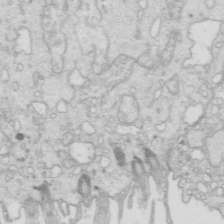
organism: Mouse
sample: Multiciliated cells